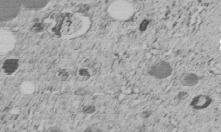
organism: C. elegans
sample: C. elegans embryo early stage